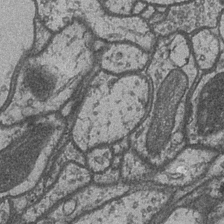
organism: Drosophila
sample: Optic medulla